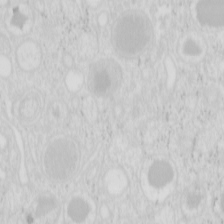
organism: Mouse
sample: Pancreas